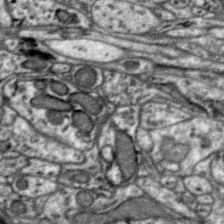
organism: Zebra finch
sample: Brain